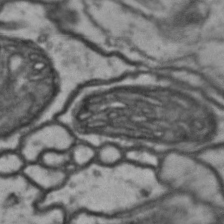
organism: Drosophila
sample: Brain